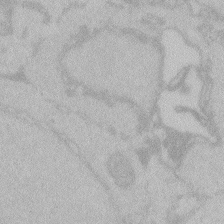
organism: Zebrafish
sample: Macrophage infected with Toxoplasma gondii